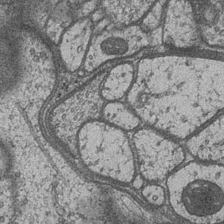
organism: Drosophila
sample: Optic medulla